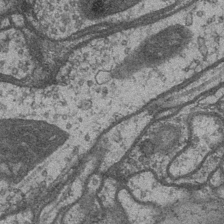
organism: Drosophila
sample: Optic medulla